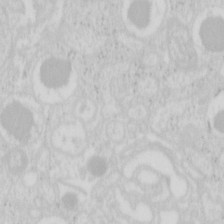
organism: Mouse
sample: Pancreas